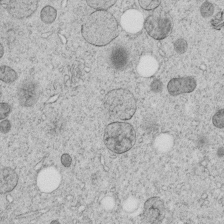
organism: C. elegans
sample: C. elegans embryo early stage